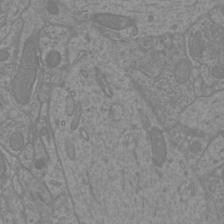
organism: Mouse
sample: Cortical neurons